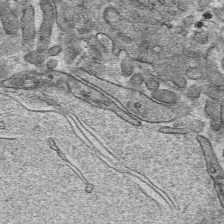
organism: Mouse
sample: Mouse hepatocytes